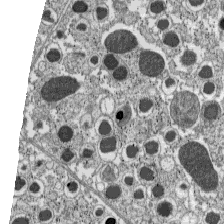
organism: C57BL Mouse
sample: Pancreatic islet